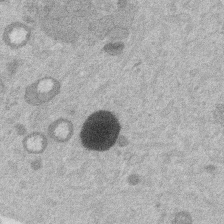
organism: Mouse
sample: Dividing mouse embryo 1 cell stage